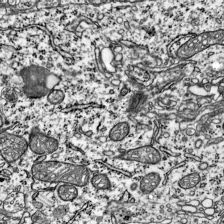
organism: Mouse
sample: Visual Cortex